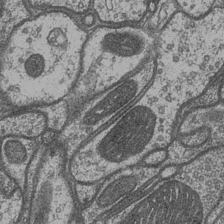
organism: Drosophila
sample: Optic medulla